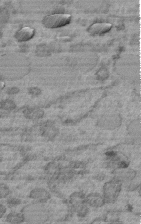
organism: C. elegans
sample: C. elegans embryo early stage